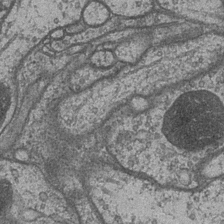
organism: Drosophila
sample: Optic medulla